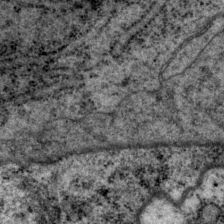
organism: P. pacificus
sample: Pharynx